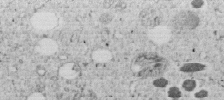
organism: C. elegans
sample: C. elegans embryo early stage